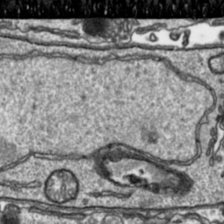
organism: Toxoplasma gondii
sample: Parasites in a vacuole inside a host cell